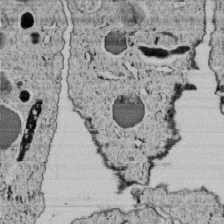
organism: C. elegans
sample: C. elegans embryo early stage